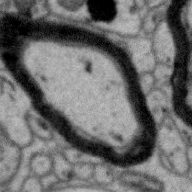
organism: Zebra finch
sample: Brain